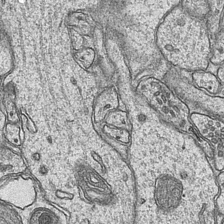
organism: Mouse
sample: CA1 Hippocampus